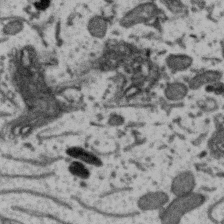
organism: Zebra finch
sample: Brain